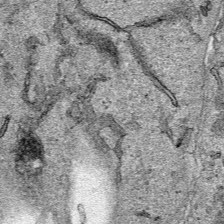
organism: Human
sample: Mitochondria in HCT116 cells